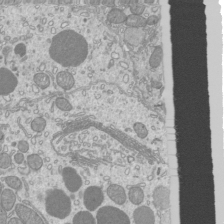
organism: Mouse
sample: Cilia; mouse epididymis